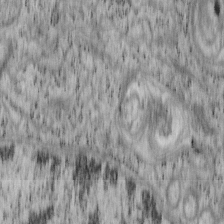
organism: Human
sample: HeLa cells